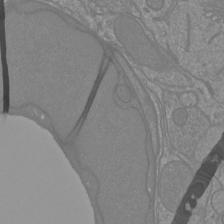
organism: Mouse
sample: Cortical neurons